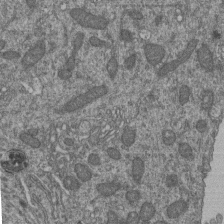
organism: Human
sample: Retinal organoid Rod and Cone cells